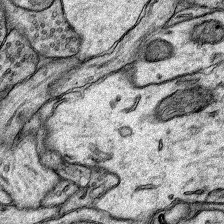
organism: Rat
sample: Hippocampus